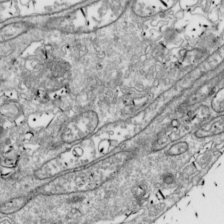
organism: Drosophila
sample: Cell division; meiosis; drosophila spermatocytes